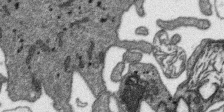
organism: Human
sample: Lung epithelial cells infected with SARS-CoV-2